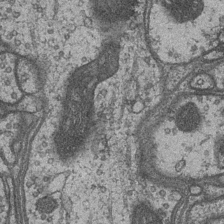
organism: Drosophila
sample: Optic medulla